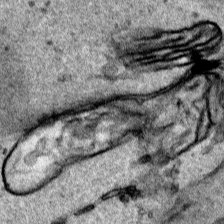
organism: Human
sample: Mitochondria in HCT116 cells